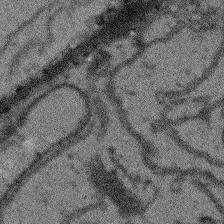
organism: Arabidopsis thaliana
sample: Root tip